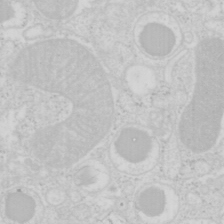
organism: Mouse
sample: Pancreas